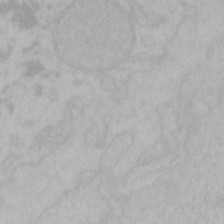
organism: Mouse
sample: Choroid plexus